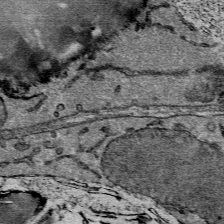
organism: Mouse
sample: Mouse Salivary gland